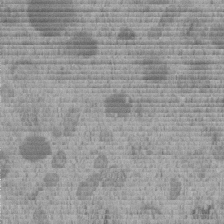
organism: C. elegans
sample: C. elegans embryo early stage